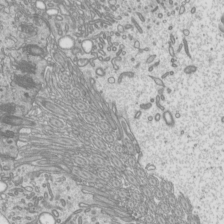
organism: Mouse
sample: Cilia; mouse epididymis